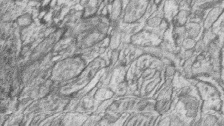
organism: Zebrafish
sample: synaptic ribbons in rod cells and cone cells